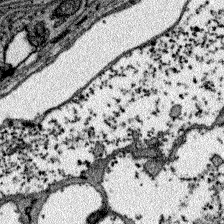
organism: Zebrafish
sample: Larval olfactory bulb